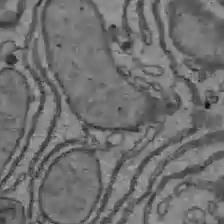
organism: C57BL Mouse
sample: Liver